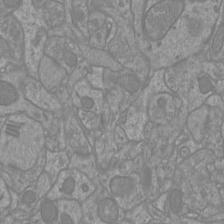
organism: Mouse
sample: Cortical neurons